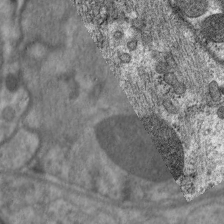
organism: C. elegans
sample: Pharynx